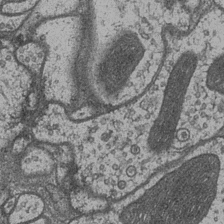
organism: Drosophila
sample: Optic medulla